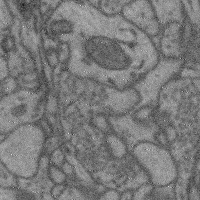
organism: Mouse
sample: Cerebral cortex